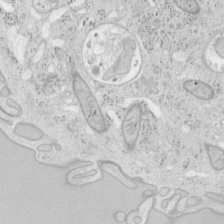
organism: Mouse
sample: OT-I killer T cells with ID8 ovarian cancer cells